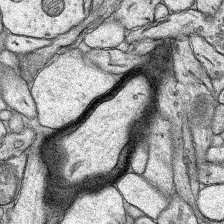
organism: Rat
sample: Hippocampus